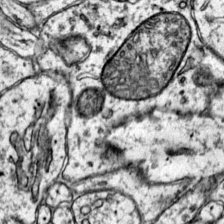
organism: Mouse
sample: Primary visual cortex